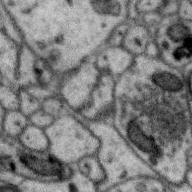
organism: Zebra finch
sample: Brain